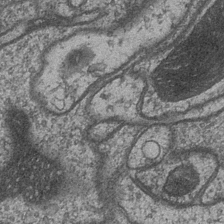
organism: Drosophila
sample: Optic medulla